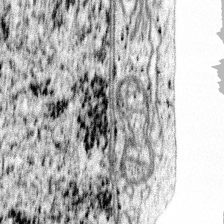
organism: Human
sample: HeLa cells